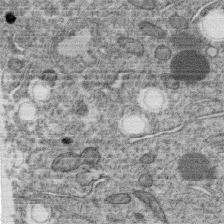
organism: C. elegans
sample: C. elegans oocyte; sperm cells